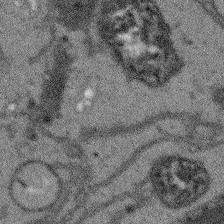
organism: Arabidopsis thaliana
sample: Root tip